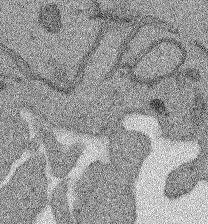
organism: Human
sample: HeLa cells